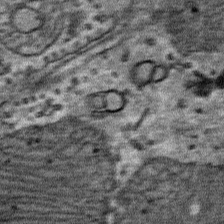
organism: Mouse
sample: Mouse Salivary gland